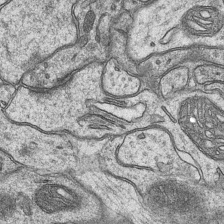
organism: Mouse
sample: CA1 Hippocampus